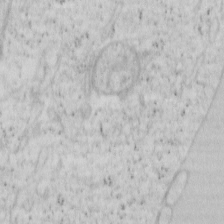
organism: Human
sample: HeLa cells